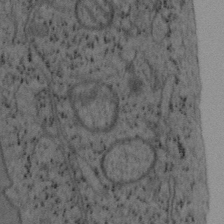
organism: Human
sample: HeLa cells